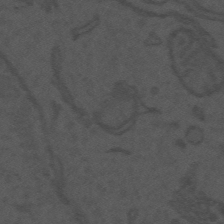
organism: Mouse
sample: Suprachiasmatic nucleus